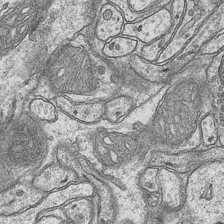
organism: Mouse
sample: CA1 Hippocampus